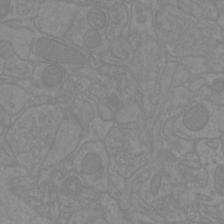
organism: Mouse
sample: Cortical neurons